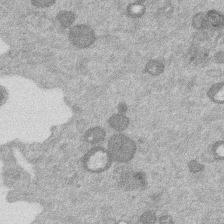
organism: Mouse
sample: Dividing mouse embryo 1 cell stage